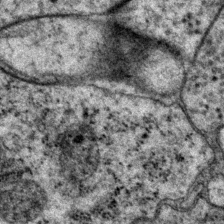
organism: P. pacificus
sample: Pharynx